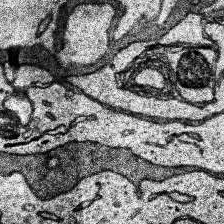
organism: Human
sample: Temporal Lobe